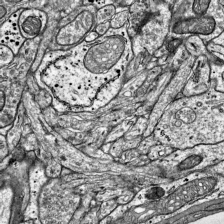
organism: Mouse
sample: Visual Cortex